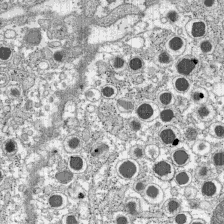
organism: C57BL Mouse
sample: Pancreatic islet